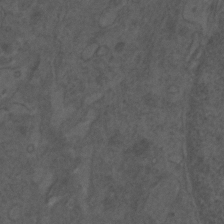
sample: Trachea